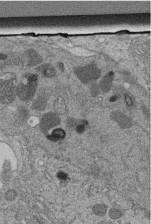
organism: Human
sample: Retinal organoid Rod and Cone cells